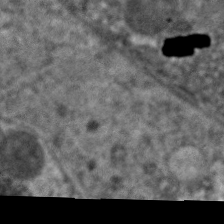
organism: C. elegans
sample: Pharynx